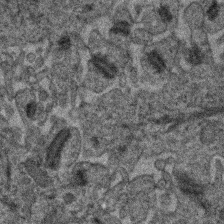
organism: Human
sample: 1205lu cells